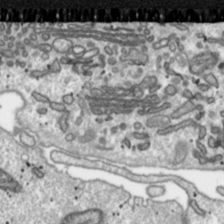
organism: Toxoplasma gondii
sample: Parasites in a vacuole inside a host cell